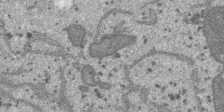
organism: Human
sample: Lung epithelial cells infected with SARS-CoV-2